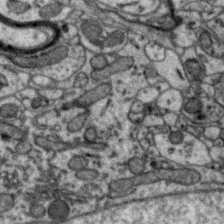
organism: Zebra finch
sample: Brain